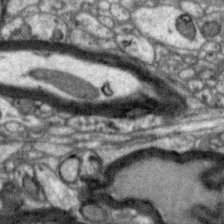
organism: Zebra finch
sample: Brain